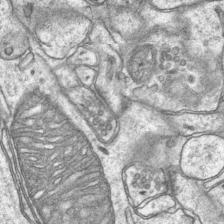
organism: Mouse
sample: CA1 Hippocampus